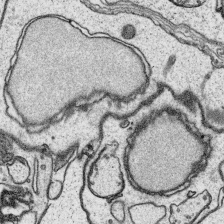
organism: Platynereis dumerilii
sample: Parapodia